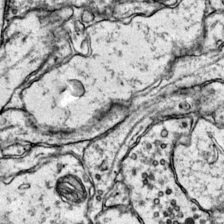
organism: Mouse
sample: Primary visual cortex